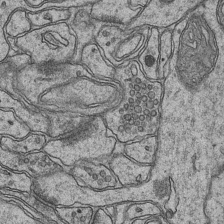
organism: Mouse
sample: CA1 Hippocampus